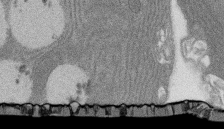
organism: Rat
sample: Salivary granule